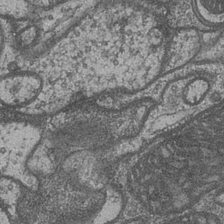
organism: Drosophila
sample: Optic medulla